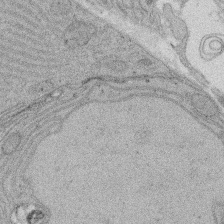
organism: Rat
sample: Salivary granule